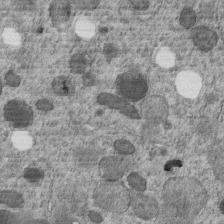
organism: C. elegans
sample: C. elegans embryo early stage